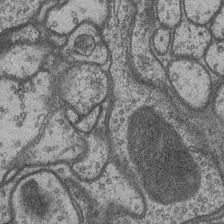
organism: Drosophila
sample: Optic medulla